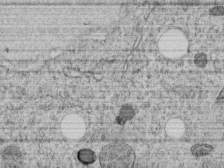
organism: C. elegans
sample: C. elegans embryo early stage